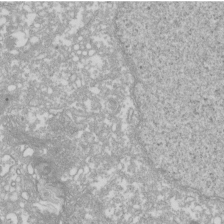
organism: Xenopus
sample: Cilia; centrioles in frog embryo cells